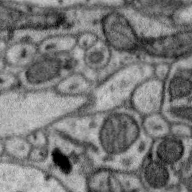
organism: Zebra finch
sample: Brain